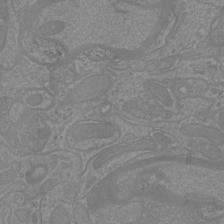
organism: Mouse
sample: Cortical neurons